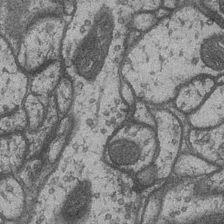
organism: Drosophila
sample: Optic medulla